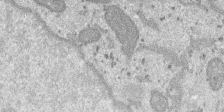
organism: Human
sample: Lung epithelial cells infected with SARS-CoV-2